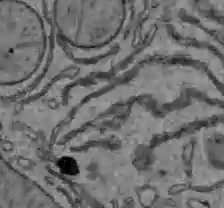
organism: C57BL Mouse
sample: Liver